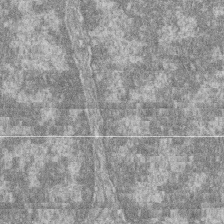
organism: Zebrafish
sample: Cilia; retinal pigment epithelium